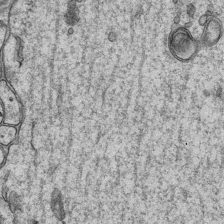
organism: Mouse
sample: CA1 Hippocampus